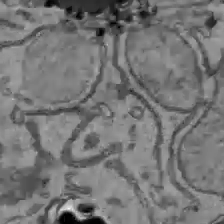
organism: C57BL Mouse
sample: Liver